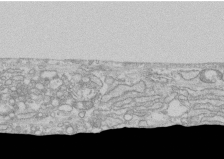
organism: Human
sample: CRL-1474